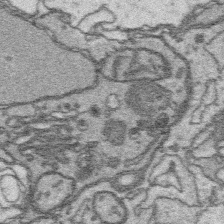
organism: Platynereis dumerilii